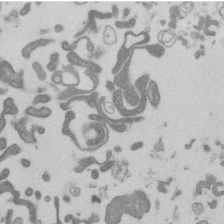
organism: Mouse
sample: Dividing mouse embryo 1 cell stage